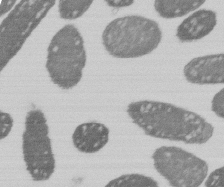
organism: E. coli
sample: Bacterial nucleoid